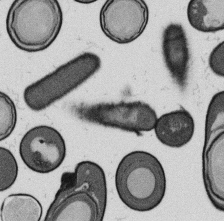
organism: B. subtilis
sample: Bacterial spore